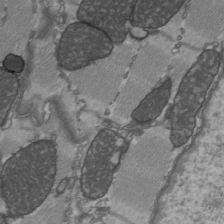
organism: C57BL Mouse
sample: Heart